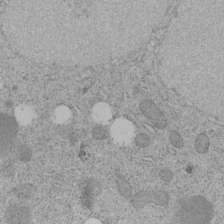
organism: C. elegans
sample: C. elegans embryo early stage